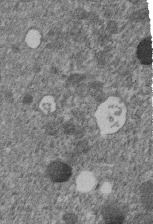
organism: C. elegans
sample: C. elegans embryo early stage